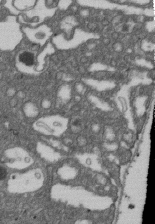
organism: Drosophila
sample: Nephrocyte